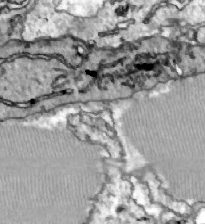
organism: Zebrafish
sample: Actinotrichia fibers